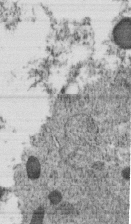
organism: C. elegans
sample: C. elegans embryo early stage